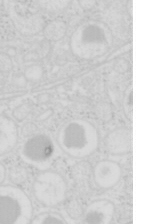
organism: Mouse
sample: Pancreas